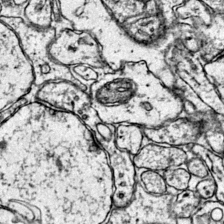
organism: Mouse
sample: Primary visual cortex